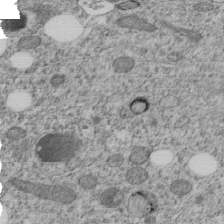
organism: C. elegans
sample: C. elegans embryo early stage